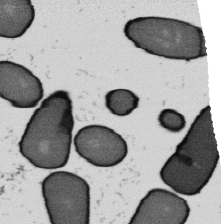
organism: B. subtilis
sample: Bacterial spore